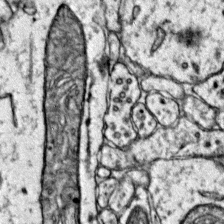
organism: Mouse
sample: Primary visual cortex